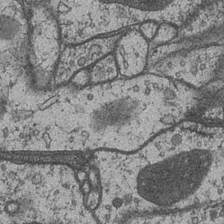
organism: Drosophila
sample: Optic medulla